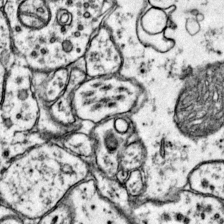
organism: Mouse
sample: Primary visual cortex